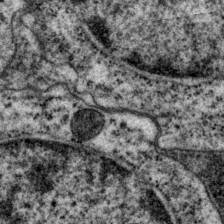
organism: P. pacificus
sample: Pharynx